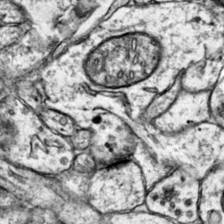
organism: Mouse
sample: Primary visual cortex